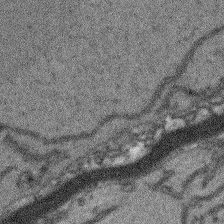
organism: Arabidopsis thaliana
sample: Root tip